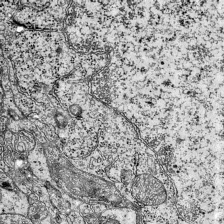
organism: Mouse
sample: Visual Cortex